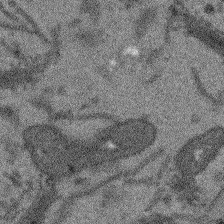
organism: Arabidopsis thaliana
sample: Root tip